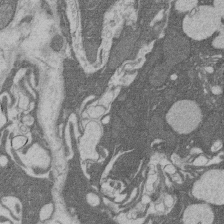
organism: Rat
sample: Salivary granule